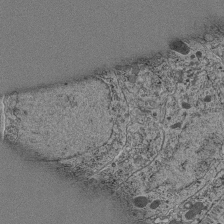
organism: C. elegans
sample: C. elegans pharynx